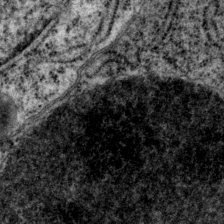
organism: P. pacificus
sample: Pharynx